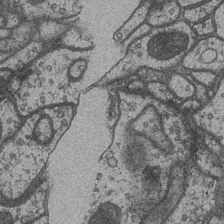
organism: Drosophila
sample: Optic medulla